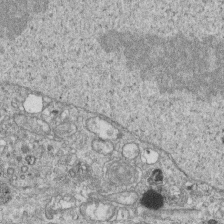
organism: Human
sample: HeLa cell HIV synapse